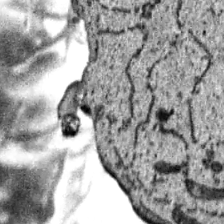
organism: Human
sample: HeLa cells